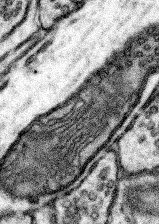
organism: Mouse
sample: Somatosensory cortex neuropil